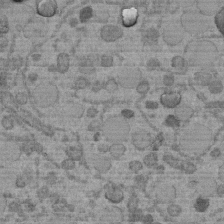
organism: C. elegans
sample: C. elegans embryo early stage